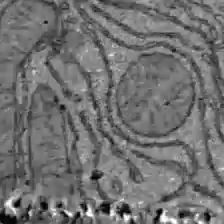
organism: C57BL Mouse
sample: Liver